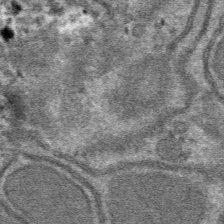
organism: Mouse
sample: Mouse hepatocytes